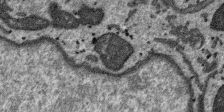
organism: Human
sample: Lung epithelial cells, uninfected (mock) control